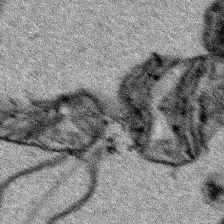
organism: Human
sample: Mitochondria in HCT116 cells